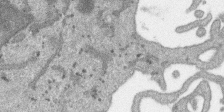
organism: Human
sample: Lung epithelial cells infected with SARS-CoV-2